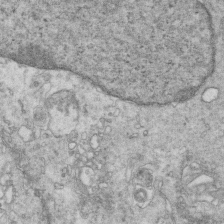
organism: Mouse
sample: Multiciliated cells